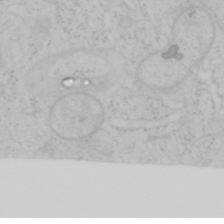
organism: Mouse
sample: OT-I killer T cells with ID8 ovarian cancer cells